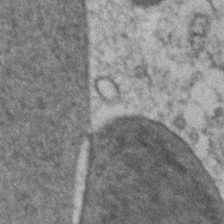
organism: Zebrafish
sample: Zebrafish embryo